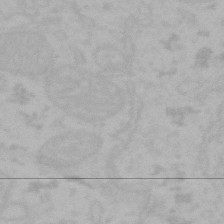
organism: Mouse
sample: Choroid plexus